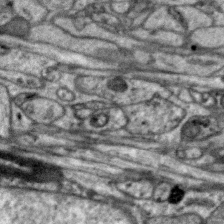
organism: Zebra finch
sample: Brain